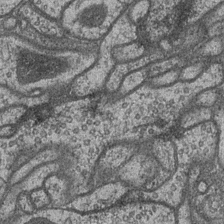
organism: Drosophila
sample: Optic medulla